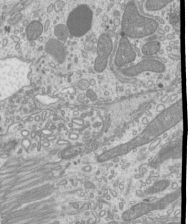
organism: Mouse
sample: Cilia; mouse epididymis